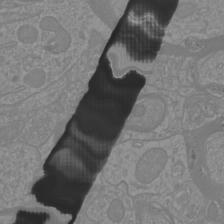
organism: Mouse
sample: Cortical neurons